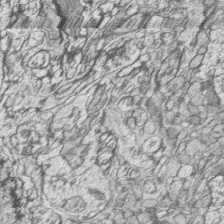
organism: Zebrafish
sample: synaptic ribbons in rod cells and cone cells